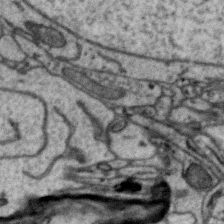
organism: Zebra finch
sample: Brain